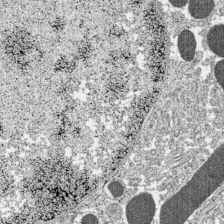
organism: C57BL Mouse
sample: Pancreatic islet